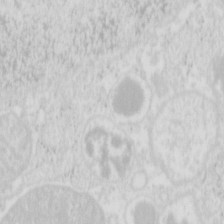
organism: Mouse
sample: Pancreas